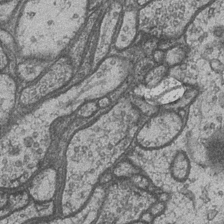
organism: Drosophila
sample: Optic medulla